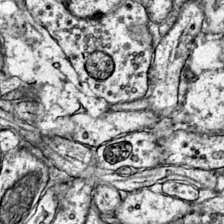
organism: Mouse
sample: Primary visual cortex